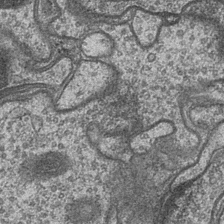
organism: Drosophila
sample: Optic medulla